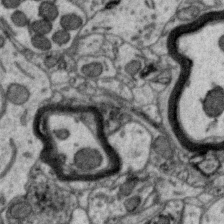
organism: Zebra finch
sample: Brain